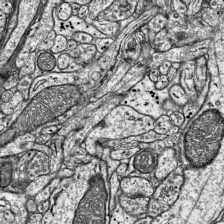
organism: Mouse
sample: Visual Cortex